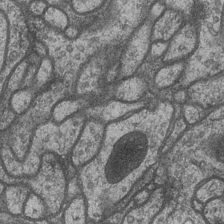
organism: Drosophila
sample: Optic medulla